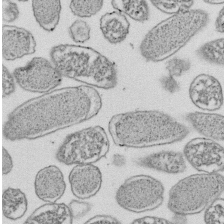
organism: E. coli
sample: Bacterial nucleoid